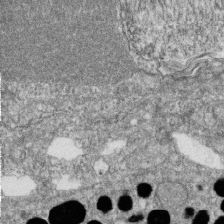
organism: Zebrafish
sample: Cilia; retinal pigment epithelium